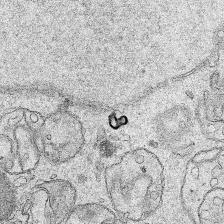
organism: Human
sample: Mitochondria in HCT116 cells